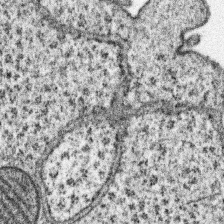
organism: Human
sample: HeLa cells